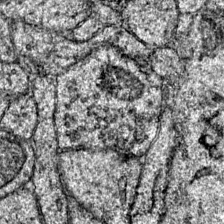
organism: Mouse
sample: Primary visual cortex